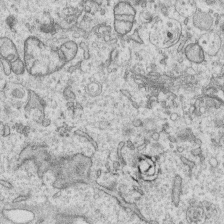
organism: Human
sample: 1205lu cells